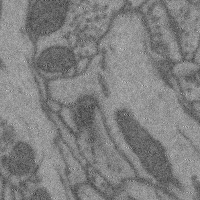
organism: Mouse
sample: Cerebral cortex